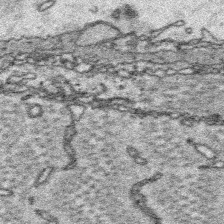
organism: Platynereis dumerilii